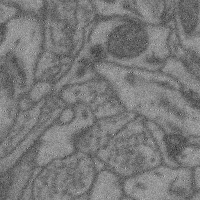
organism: Mouse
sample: Cerebral cortex